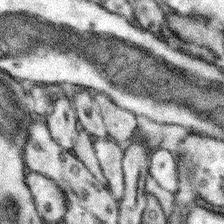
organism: Mouse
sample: Somatosensory cortex neuropil